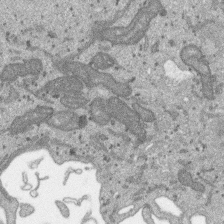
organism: Human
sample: Lung epithelial cells infected with SARS-CoV-2